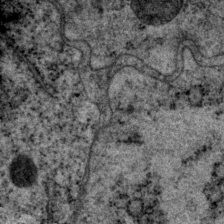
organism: P. pacificus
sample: Pharynx